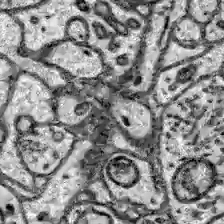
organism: Zebrafish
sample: Brain